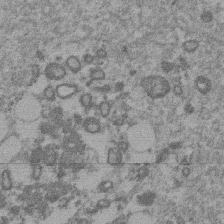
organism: Mouse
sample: Dividing mouse embryo 1 cell stage